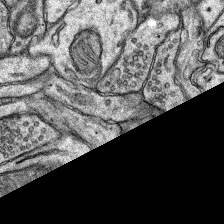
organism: Rat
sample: Hippocampus